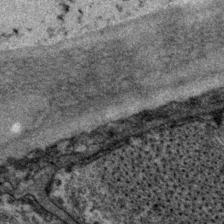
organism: P. pacificus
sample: Pharynx